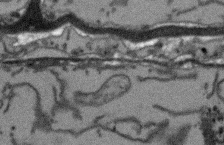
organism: Arabidopsis thaliana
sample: Root tip